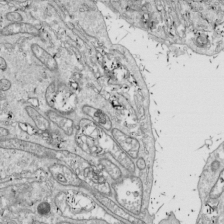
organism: Drosophila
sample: Cell division; meiosis; drosophila spermatocytes